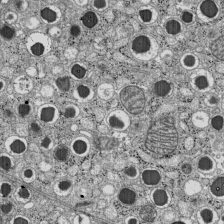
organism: C57BL Mouse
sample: Pancreatic islet